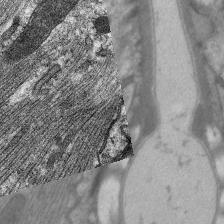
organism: C. elegans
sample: Pharynx